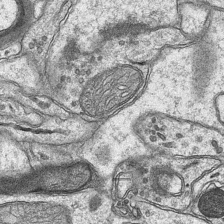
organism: Mouse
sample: CA1 Hippocampus